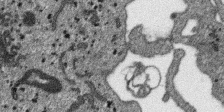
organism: Human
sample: Lung epithelial cells infected with SARS-CoV-2